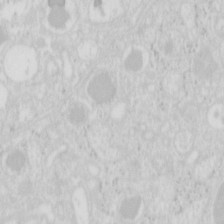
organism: Mouse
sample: Pancreas